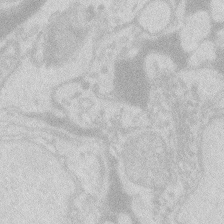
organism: Zebrafish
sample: Macrophage